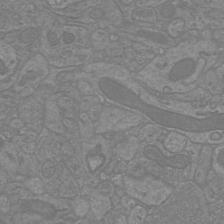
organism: Mouse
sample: Cortical neurons